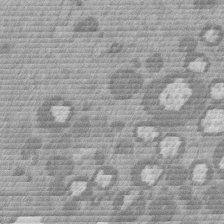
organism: Mouse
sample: Dividing mouse embryo 1 cell stage